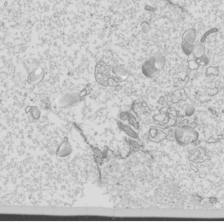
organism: Mouse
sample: Cilia; mouse epididymis